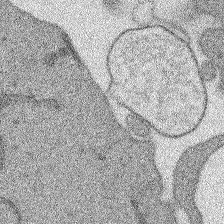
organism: Human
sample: HeLa cells